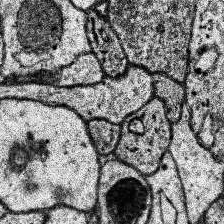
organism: Human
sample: Temporal Lobe